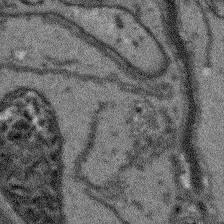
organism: Arabidopsis thaliana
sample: Root tip